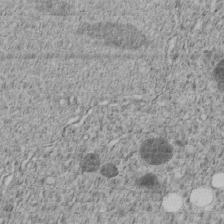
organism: C. elegans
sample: C. elegans embryo early stage